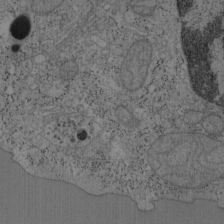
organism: Mouse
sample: OT-I killer T cells with ID8 ovarian cancer cells